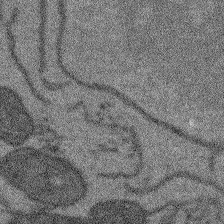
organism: Arabidopsis thaliana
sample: Root tip